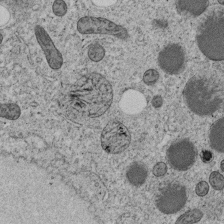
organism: C. elegans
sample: C. elegans embryo early stage